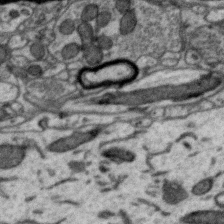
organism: Zebra finch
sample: Brain